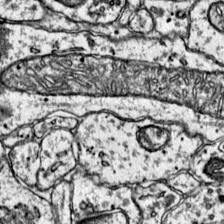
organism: Mouse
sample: Primary visual cortex